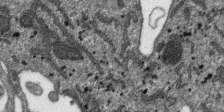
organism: Human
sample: Lung epithelial cells infected with SARS-CoV-2